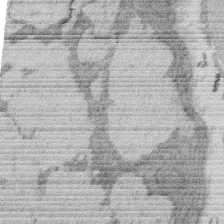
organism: Rat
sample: Salivary granule